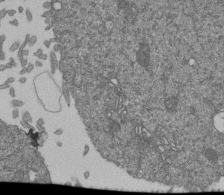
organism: Human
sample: Retinal organoid Rod and Cone cells